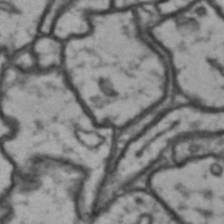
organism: Drosophila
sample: Brain